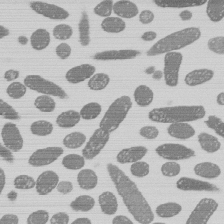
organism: E. coli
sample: Bacterial nucleoid